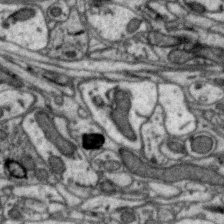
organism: Zebra finch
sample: Brain